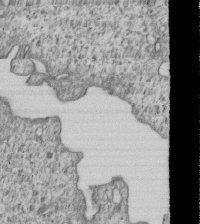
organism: Human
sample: MDA-MB-231 cells